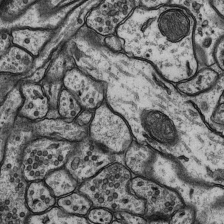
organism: Rat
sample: Hippocampus